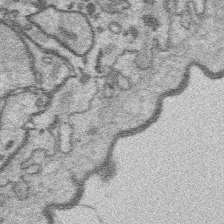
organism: Platynereis dumerilii